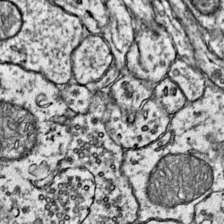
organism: Mouse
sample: Primary visual cortex